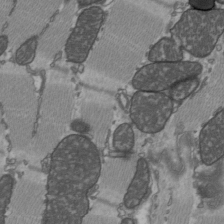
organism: C57BL Mouse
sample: Heart